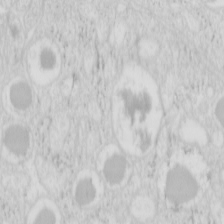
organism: Mouse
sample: Pancreas